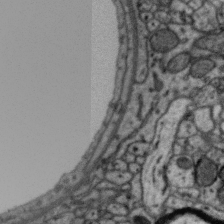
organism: Zebra finch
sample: Brain